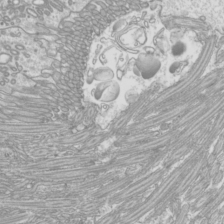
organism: Mouse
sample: Cilia; mouse epididymis